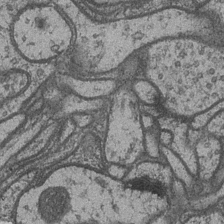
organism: Drosophila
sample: Optic medulla